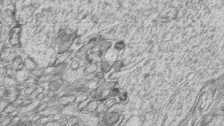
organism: Zebrafish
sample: synaptic ribbons in rod cells and cone cells